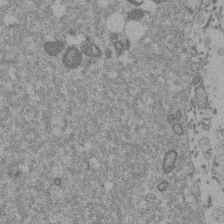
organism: Mouse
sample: Dividing mouse embryo 1 cell stage